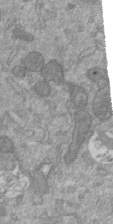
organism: Mouse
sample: ED-1 cell nuclei; centrioles